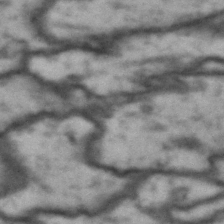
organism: Drosophila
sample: Brain